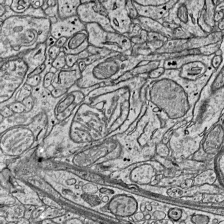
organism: Mouse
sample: Visual Cortex